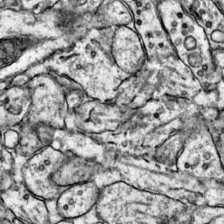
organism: Mouse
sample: Primary visual cortex